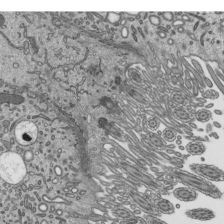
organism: Mouse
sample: Mouse epididymis efferent ductule cilia